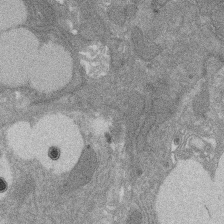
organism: Rat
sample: Salivary granule